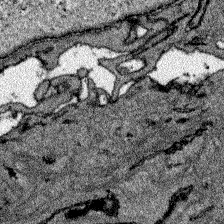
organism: Zebrafish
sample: Larval olfactory bulb